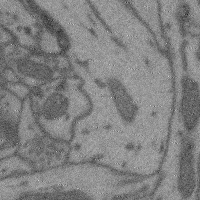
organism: Mouse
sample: Cerebral cortex